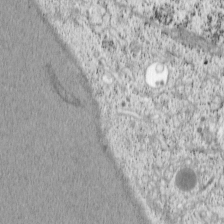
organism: African green monkey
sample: COS-7 cells